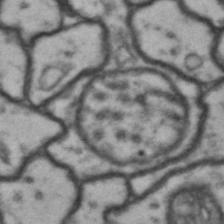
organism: Drosophila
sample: Brain